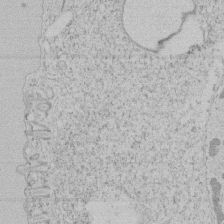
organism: Tetrahymena